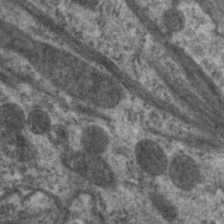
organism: C. elegans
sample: Pharynx